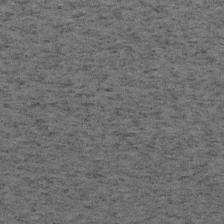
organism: Mouse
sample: OT-I killer T cells with ID8 ovarian cancer cells